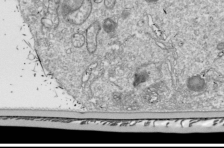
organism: Drosophila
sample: Cell division; meiosis; drosophila spermatocytes